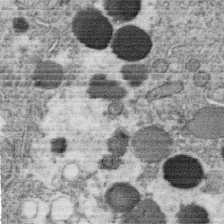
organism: C. elegans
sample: C. elegans oocyte; sperm cells